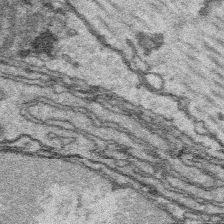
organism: Platynereis dumerilii